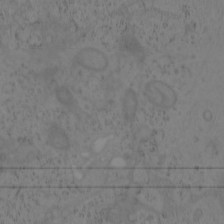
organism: Human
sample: HeLa cells